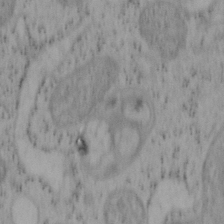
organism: Mouse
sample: OT-I killer T cells with ID8 ovarian cancer cells